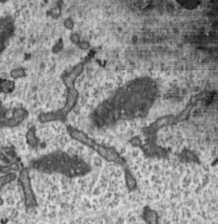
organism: Toxoplasma gondii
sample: Parasites in a vacuole inside a host cell